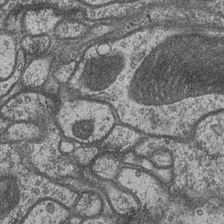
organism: Drosophila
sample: Optic medulla